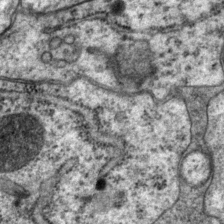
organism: P. pacificus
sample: Pharynx